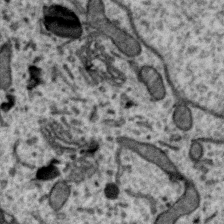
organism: Zebra finch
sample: Brain